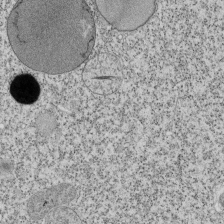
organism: Tetrahymena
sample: Cilia in tetrahymena